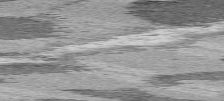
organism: C57BL Mouse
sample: Heart